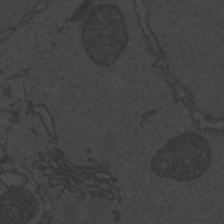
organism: Zebrafish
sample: Macrophage infected with Toxoplasma gondii